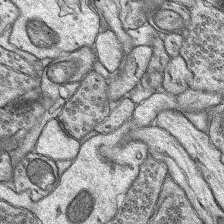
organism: Rat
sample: Hippocampus